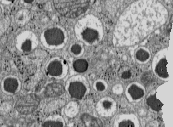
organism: C57BL Mouse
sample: Pancreatic islet